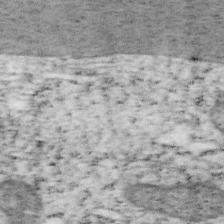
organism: Mouse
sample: OT-I killer T cells with ID8 ovarian cancer cells